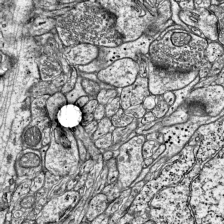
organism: Mouse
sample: Visual Cortex